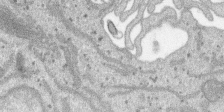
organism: Human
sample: Lung epithelial cells infected with SARS-CoV-2